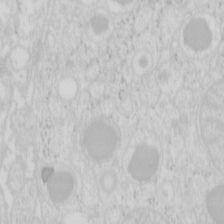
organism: Mouse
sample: Pancreas